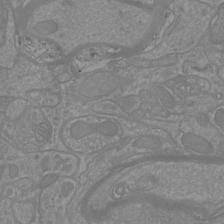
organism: Mouse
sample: Cortical neurons